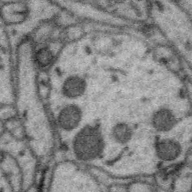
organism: Zebra finch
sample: Brain